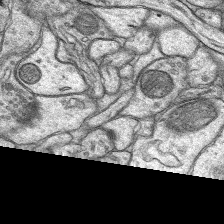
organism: Rat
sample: Hippocampus